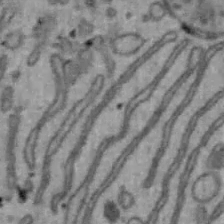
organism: Mouse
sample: Liver